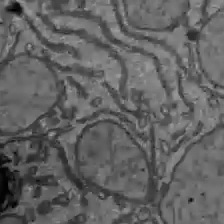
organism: C57BL Mouse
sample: Liver